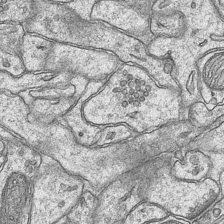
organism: Mouse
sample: CA1 Hippocampus